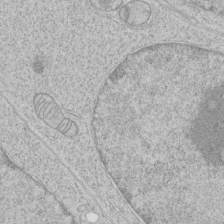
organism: Human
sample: Mitochondria in HCT116 cells